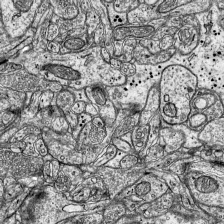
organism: Mouse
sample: Visual Cortex